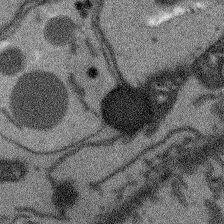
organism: Arabidopsis thaliana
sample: Root tip